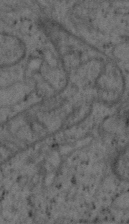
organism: Human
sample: HeLa cells